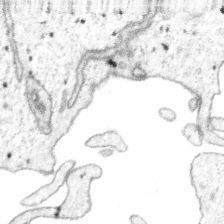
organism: Human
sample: HeLa cells